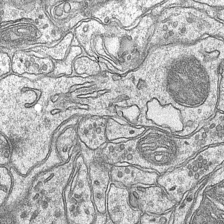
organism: Mouse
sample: CA1 Hippocampus